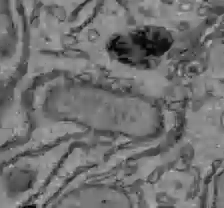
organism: C57BL Mouse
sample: Liver